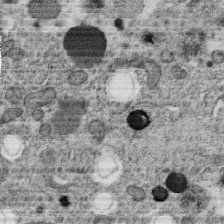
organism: C. elegans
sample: C. elegans oocyte; sperm cells